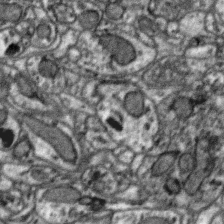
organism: Zebra finch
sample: Brain